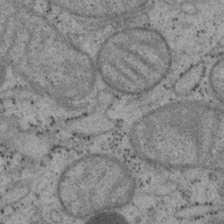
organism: Human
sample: HeLa cells